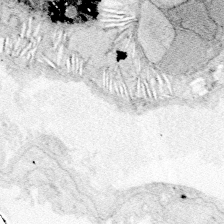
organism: Zebrafish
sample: Whole-Brain